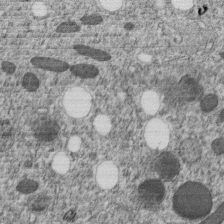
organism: C. elegans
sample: C. elegans embryo early stage